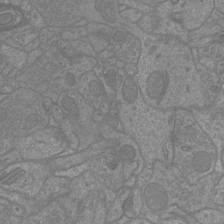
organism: Mouse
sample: Cortical neurons